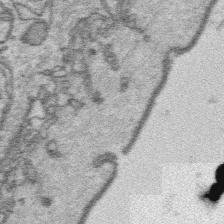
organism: Platynereis dumerilii